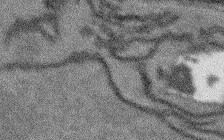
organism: Arabidopsis thaliana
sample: Root tip